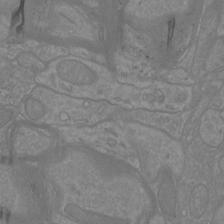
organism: Mouse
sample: Cortical neurons